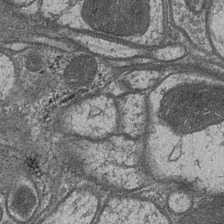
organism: Drosophila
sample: Optic medulla